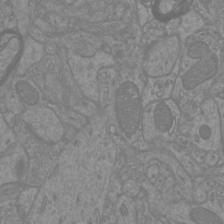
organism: Mouse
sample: Cortical neurons